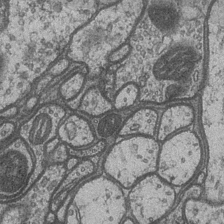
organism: Drosophila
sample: Optic medulla